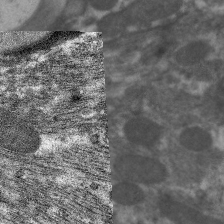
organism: C. elegans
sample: Pharynx